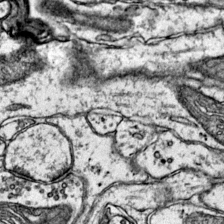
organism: Mouse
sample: Primary visual cortex